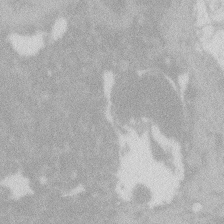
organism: Zebrafish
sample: Macrophage